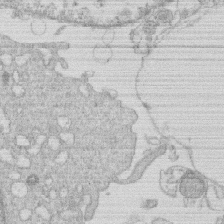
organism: Human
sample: Macrophage cells